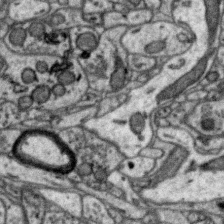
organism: Zebra finch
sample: Brain